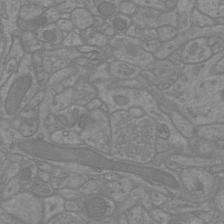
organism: Mouse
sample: Cortical neurons